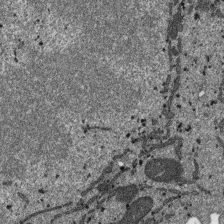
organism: Human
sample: Lung epithelial cells infected with SARS-CoV-2